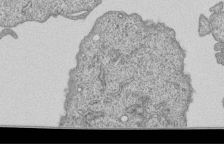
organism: Human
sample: MDA-MB-231 cells